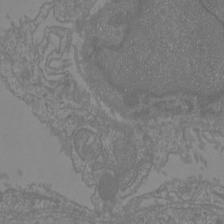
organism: Mouse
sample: Cortical neurons